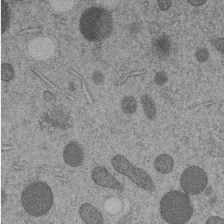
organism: C. elegans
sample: C. elegans embryo early stage